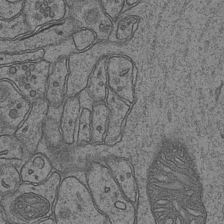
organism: Mouse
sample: CA1 Hippocampus